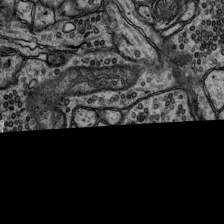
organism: Rat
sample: Hippocampus